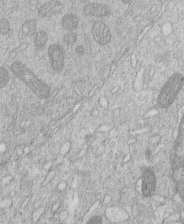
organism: Human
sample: Macrophage cells